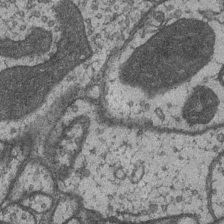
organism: Drosophila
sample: Optic medulla